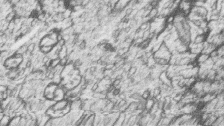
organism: Zebrafish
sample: synaptic ribbons in rod cells and cone cells